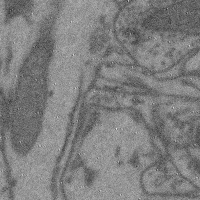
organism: Mouse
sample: Cerebral cortex